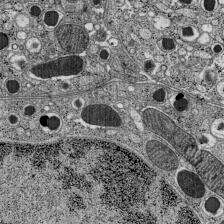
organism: C57BL Mouse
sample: Pancreatic islet